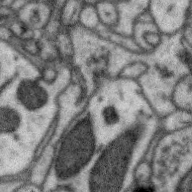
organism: Zebra finch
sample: Brain